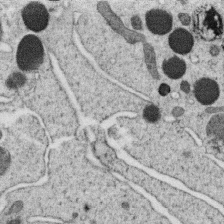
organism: C. elegans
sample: C. elegans oocyte; sperm cells